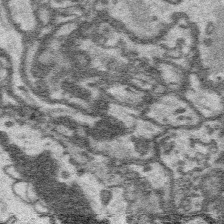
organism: Platynereis dumerilii